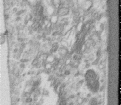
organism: Human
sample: Centriole in RPE cells